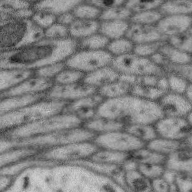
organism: Zebra finch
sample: Brain